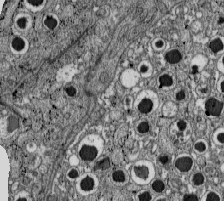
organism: C57BL Mouse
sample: Pancreatic islet